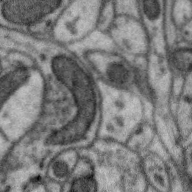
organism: Zebra finch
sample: Brain